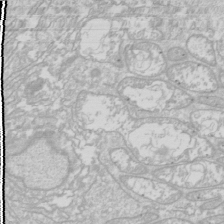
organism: Drosophila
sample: Cell division; meiosis; drosophila spermatocytes